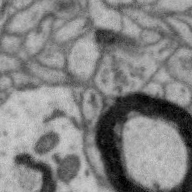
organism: Zebra finch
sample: Brain